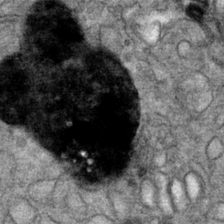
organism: Mouse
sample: Mouse Salivary gland